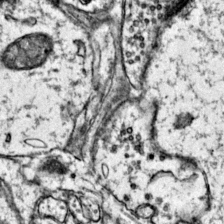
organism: Mouse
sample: Primary visual cortex